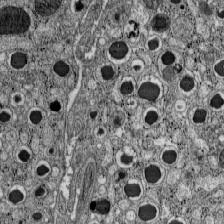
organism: C57BL Mouse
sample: Pancreatic islet